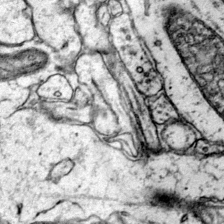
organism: Mouse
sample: Primary visual cortex